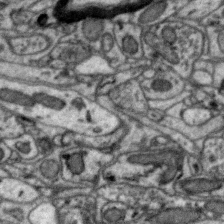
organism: Zebra finch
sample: Brain